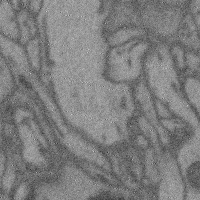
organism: Mouse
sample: Cerebral cortex